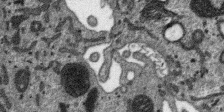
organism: Human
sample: Lung epithelial cells infected with SARS-CoV-2